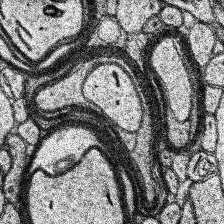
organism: Human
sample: Temporal Lobe